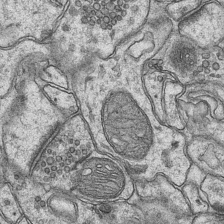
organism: Mouse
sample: CA1 Hippocampus